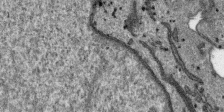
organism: Human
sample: Lung epithelial cells, uninfected (mock) control